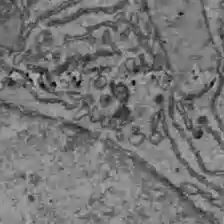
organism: C57BL Mouse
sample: Liver